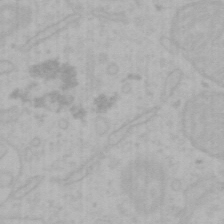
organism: Mouse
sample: Choroid plexus